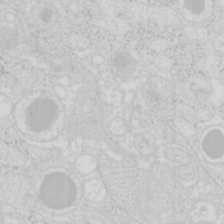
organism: Mouse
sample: Pancreas